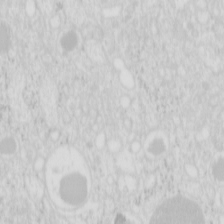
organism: Mouse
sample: Pancreas